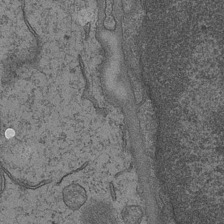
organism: Mouse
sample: CA1 Hippocampus